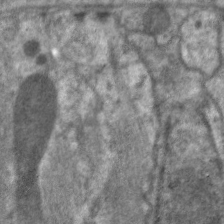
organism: C. elegans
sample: Pharynx